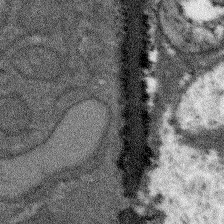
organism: Arabidopsis thaliana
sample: Root tip